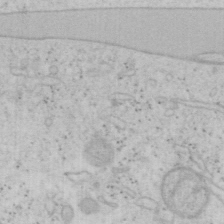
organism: Human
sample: HeLa cells